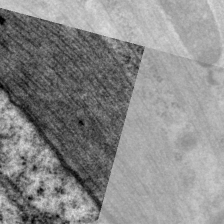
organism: P. pacificus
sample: Pharynx